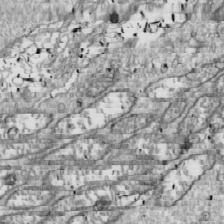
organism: Drosophila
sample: Cell division; meiosis; drosophila spermatocytes